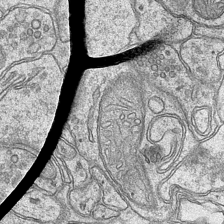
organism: Mouse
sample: CA1 Hippocampus